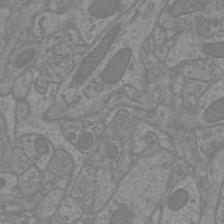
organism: Mouse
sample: Cortical neurons